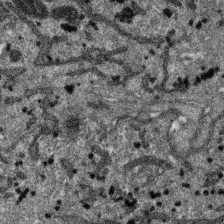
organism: Human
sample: Lung epithelial cells infected with SARS-CoV-2